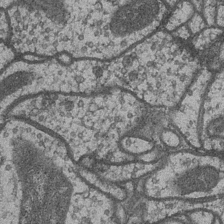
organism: Drosophila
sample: Optic medulla